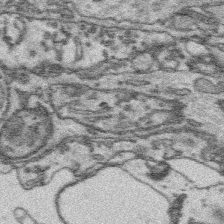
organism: Platynereis dumerilii